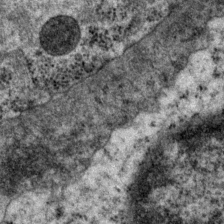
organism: P. pacificus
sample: Pharynx